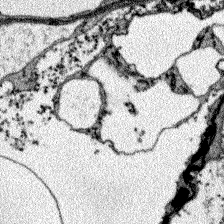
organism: Zebrafish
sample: Larval olfactory bulb